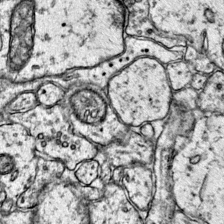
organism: Mouse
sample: Primary visual cortex